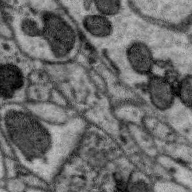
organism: Zebra finch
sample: Brain